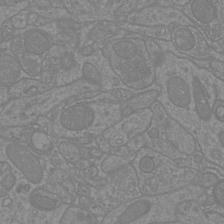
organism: Mouse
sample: Cortical neurons